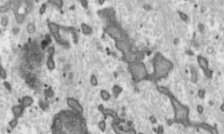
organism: Toxoplasma gondii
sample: Parasites in a vacuole inside a host cell